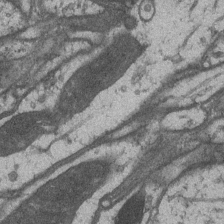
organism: Drosophila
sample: Optic medulla